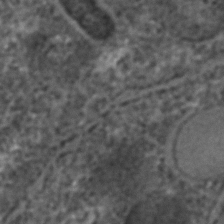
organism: C. elegans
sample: C. elegans embryo